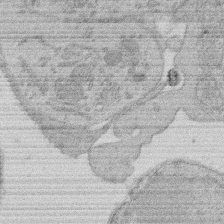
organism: Rat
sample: Salivary granule